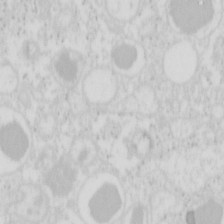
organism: Mouse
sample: Pancreas